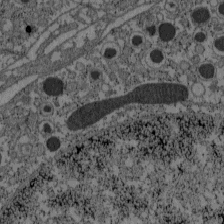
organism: C57BL Mouse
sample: Pancreatic islet